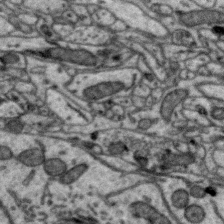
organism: Zebra finch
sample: Brain